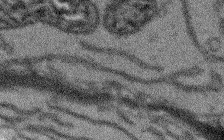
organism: Arabidopsis thaliana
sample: Root tip